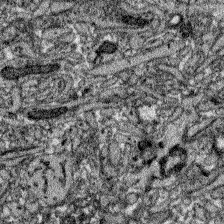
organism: Zebrafish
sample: Larval olfactory bulb